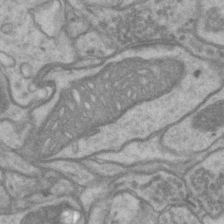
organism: Mouse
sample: CA1 Hippocampus